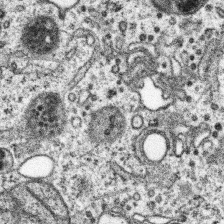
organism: Human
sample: HeLa cells